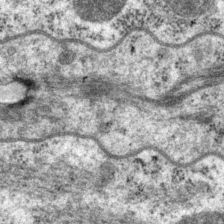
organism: P. pacificus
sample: Pharynx